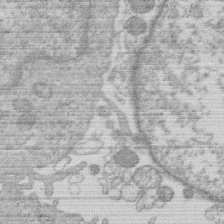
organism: Human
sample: Macrophage cells